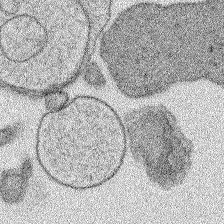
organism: Human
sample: HeLa cells